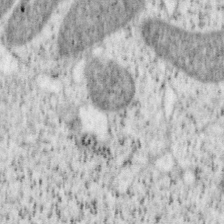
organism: Mouse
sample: OT-I killer T cells with ID8 ovarian cancer cells